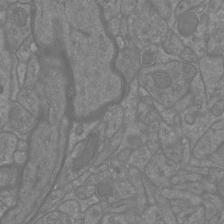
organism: Mouse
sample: Cortical neurons